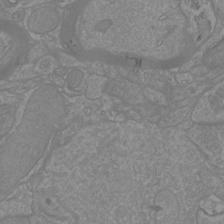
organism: Mouse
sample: Cortical neurons